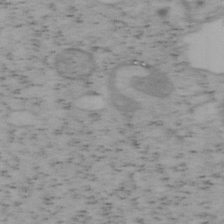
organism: Mouse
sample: OT-I killer T cells with ID8 ovarian cancer cells